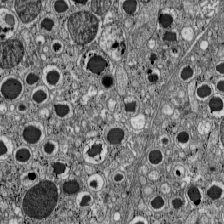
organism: C57BL Mouse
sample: Pancreatic islet